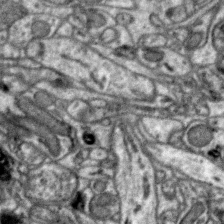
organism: Zebra finch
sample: Brain